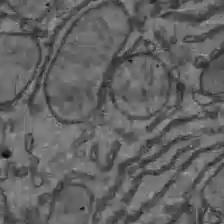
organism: C57BL Mouse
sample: Liver